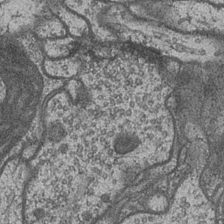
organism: Drosophila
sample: Optic medulla